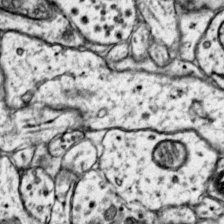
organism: Mouse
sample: Primary visual cortex